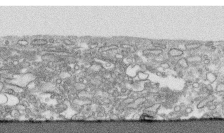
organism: Human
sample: CRL-1474